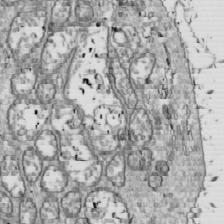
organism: Drosophila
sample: Cell division; meiosis; drosophila spermatocytes